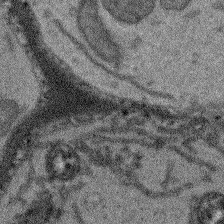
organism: Arabidopsis thaliana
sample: Root tip